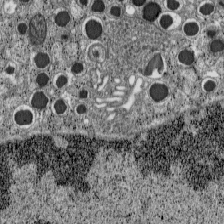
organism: C57BL Mouse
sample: Pancreatic islet